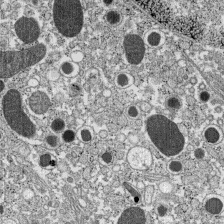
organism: C57BL Mouse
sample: Pancreatic islet